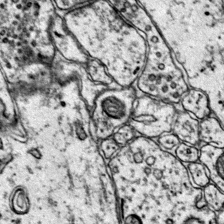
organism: Mouse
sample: Primary visual cortex